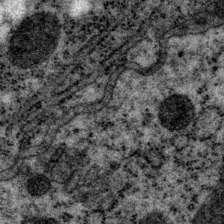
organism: P. pacificus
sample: Pharynx